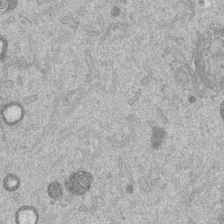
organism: Mouse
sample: Dividing mouse embryo 1 cell stage